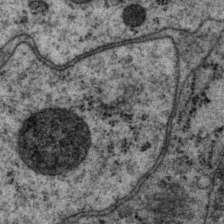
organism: P. pacificus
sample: Pharynx